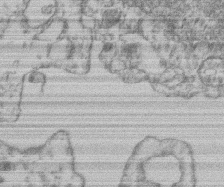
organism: Mouse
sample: T cell stromal cell synapse